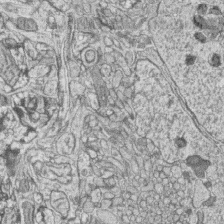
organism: Zebrafish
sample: synaptic ribbons in rod cells and cone cells